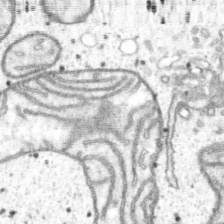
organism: Human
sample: HeLa cells